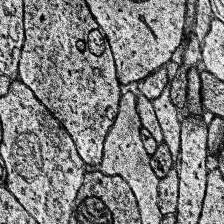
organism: Human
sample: Temporal Lobe